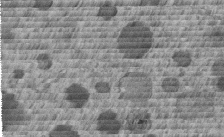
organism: C. elegans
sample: C. elegans embryo early stage